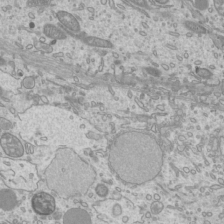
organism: Mouse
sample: Cilia; mouse epididymis